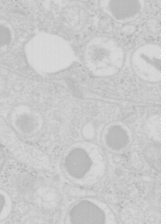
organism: Mouse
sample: Pancreas